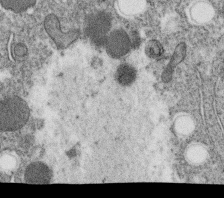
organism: C. elegans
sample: C. elegans oocyte; sperm cells